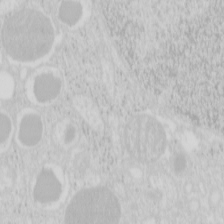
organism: Mouse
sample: Pancreas